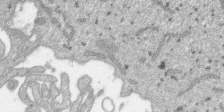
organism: Human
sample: Lung epithelial cells infected with SARS-CoV-2